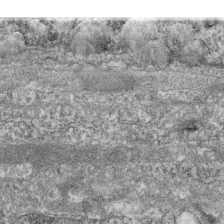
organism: Zebrafish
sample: Cilia; retinal pigment epithelium